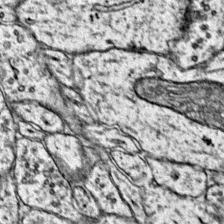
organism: Mouse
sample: Primary visual cortex